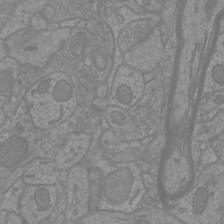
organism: Mouse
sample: Cortical neurons